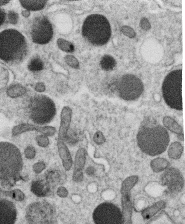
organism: C. elegans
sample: C. elegans oocyte; sperm cells